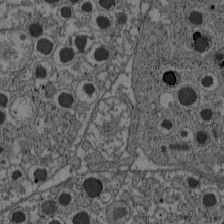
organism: C57BL Mouse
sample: Pancreatic islet